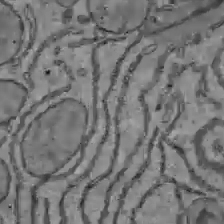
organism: C57BL Mouse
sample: Liver